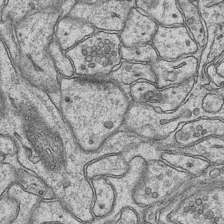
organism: Mouse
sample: CA1 Hippocampus